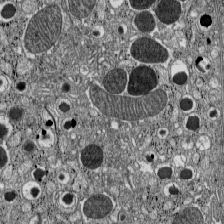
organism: C57BL Mouse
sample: Pancreatic islet